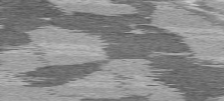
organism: C57BL Mouse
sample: Heart